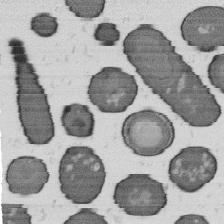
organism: B. subtilis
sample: Bacterial spore